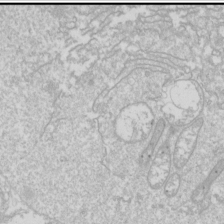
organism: Drosophila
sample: Cell division; meiosis; drosophila spermatocytes